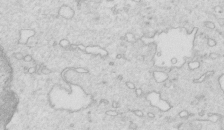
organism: Mouse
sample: Multiciliated cells